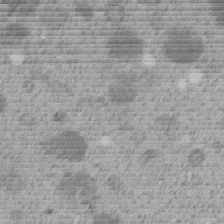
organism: C. elegans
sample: C. elegans embryo early stage